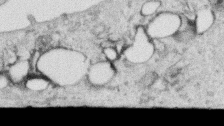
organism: Human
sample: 1205lu cells